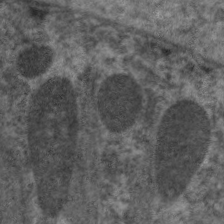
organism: C. elegans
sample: Pharynx